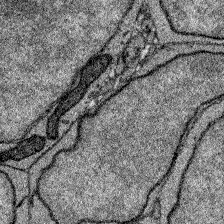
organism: Zebrafish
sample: Larval olfactory bulb